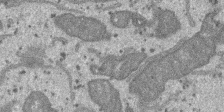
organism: Human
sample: Lung epithelial cells infected with SARS-CoV-2